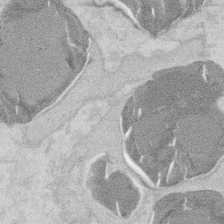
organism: Mouse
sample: T cell stromal cell synapse